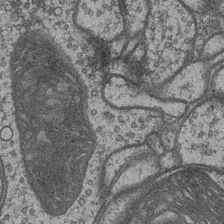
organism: Drosophila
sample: Optic medulla